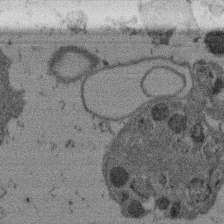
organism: Mouse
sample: Dividing mouse embryo 1 cell stage